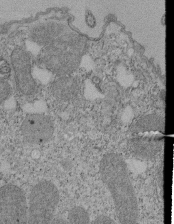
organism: Tetrahymena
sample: Cilia in tetrahymena